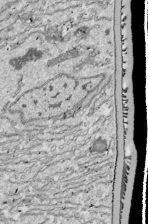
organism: Drosophila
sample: Cell division; meiosis; drosophila spermatocytes